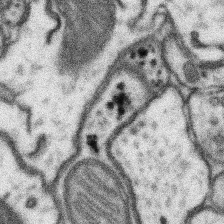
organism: Mouse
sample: Somatosensory cortex neuropil